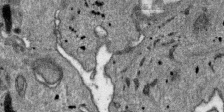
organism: Human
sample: Lung epithelial cells, uninfected (mock) control